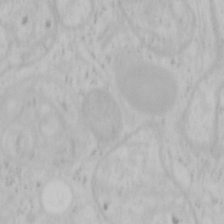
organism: Mouse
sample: OT-I killer T cells with ID8 ovarian cancer cells